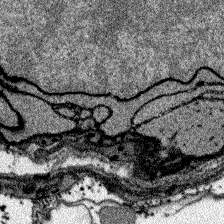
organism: Zebrafish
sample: Larval olfactory bulb